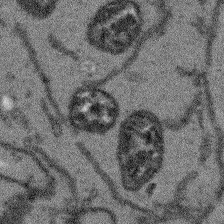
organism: Arabidopsis thaliana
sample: Root tip